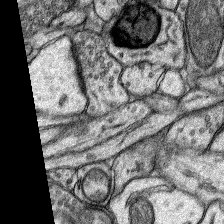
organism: Rat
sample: Hippocampus